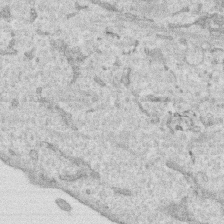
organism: Human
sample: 1205lu cells